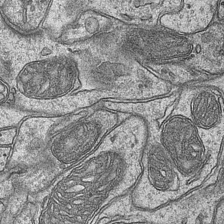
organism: Mouse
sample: CA1 Hippocampus